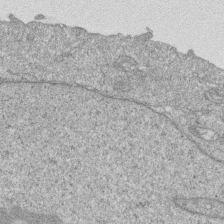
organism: Human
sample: HeLa cell HIV synapse